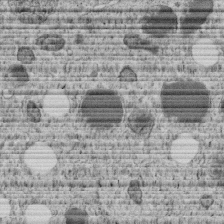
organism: C. elegans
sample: C. elegans embryo early stage